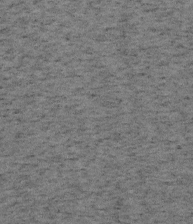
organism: Mouse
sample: OT-I killer T cells with ID8 ovarian cancer cells